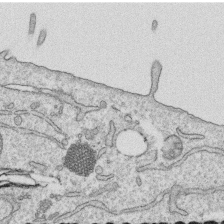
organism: Human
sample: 1205lu cells